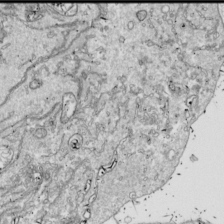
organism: Drosophila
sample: Cell division; meiosis; drosophila spermatocytes